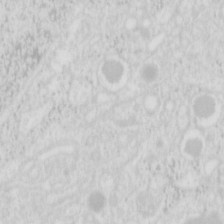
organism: Mouse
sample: Pancreas